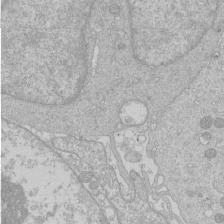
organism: Human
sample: Macrophage cells